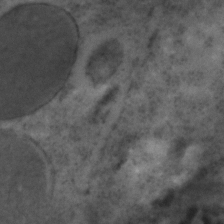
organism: C. elegans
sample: C. elegans embryo